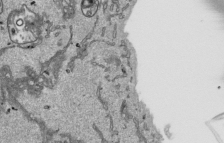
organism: Human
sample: Mitochondria in HCT116 cells